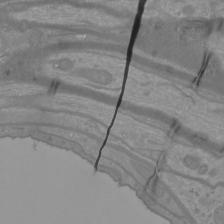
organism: Mouse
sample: Cortical neurons